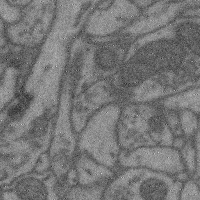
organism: Mouse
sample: Cerebral cortex